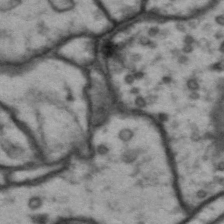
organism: Drosophila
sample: Brain